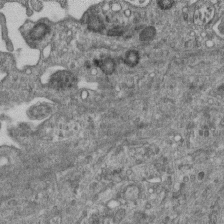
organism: Mouse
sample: Centriole in ependymal cells